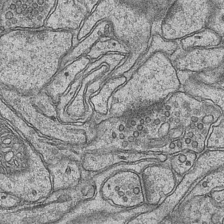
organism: Mouse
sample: CA1 Hippocampus